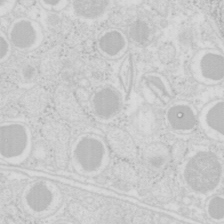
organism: Mouse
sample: Pancreas